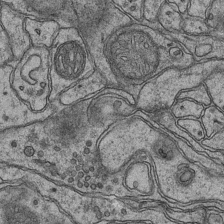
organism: Mouse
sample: CA1 Hippocampus